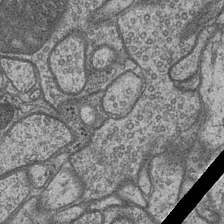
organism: Drosophila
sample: Optic medulla